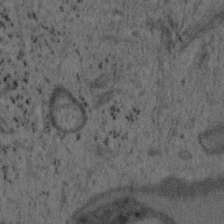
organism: Human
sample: HeLa cells